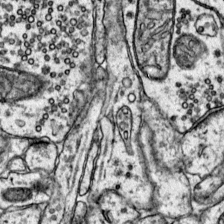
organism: Mouse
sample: Primary visual cortex